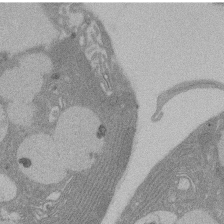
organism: Rat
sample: Salivary granule